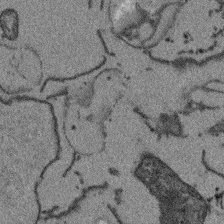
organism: Arabidopsis thaliana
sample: Root tip